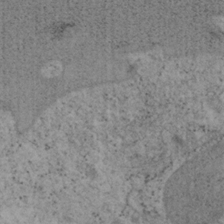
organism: Mouse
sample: OT-I killer T cells with ID8 ovarian cancer cells